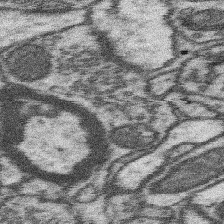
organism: Mouse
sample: Somatosensory cortex neuropil